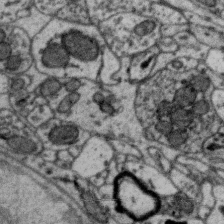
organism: Zebra finch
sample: Brain